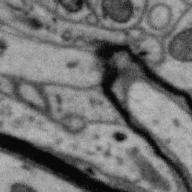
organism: Zebra finch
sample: Brain